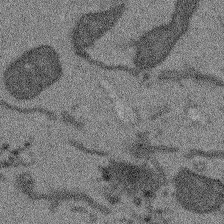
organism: Arabidopsis thaliana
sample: Root tip